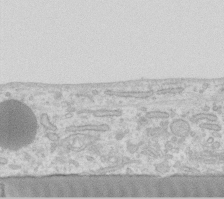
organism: Human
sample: Fibroblast cells